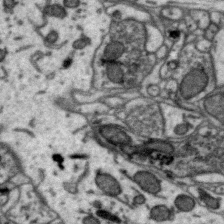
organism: Zebra finch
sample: Brain